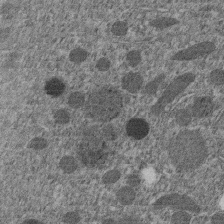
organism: C. elegans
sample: C. elegans embryo early stage